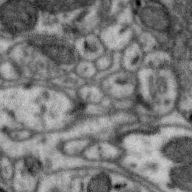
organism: Zebra finch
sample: Brain